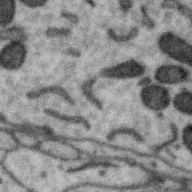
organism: Zebra finch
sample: Brain